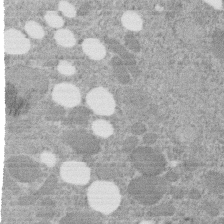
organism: C. elegans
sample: C. elegans embryo early stage